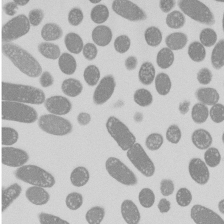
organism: E. coli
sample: Bacterial nucleoid